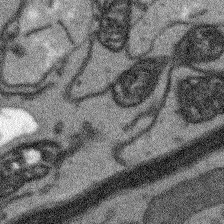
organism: Arabidopsis thaliana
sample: Root tip